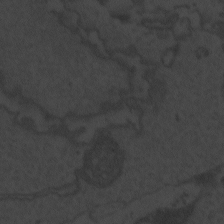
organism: Zebrafish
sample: Macrophage infected with Toxoplasma gondii